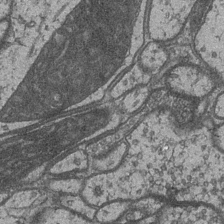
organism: Drosophila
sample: Optic medulla